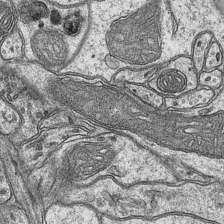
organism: Mouse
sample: CA1 Hippocampus